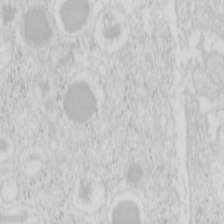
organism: Mouse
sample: Pancreas